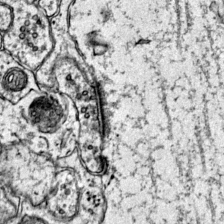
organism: Mouse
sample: Primary visual cortex